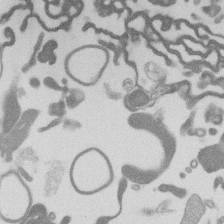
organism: Mouse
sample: Dividing mouse embryo 1 cell stage